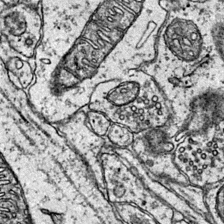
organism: Mouse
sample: Primary visual cortex